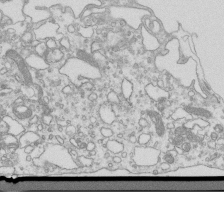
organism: Mouse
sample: Macrophages